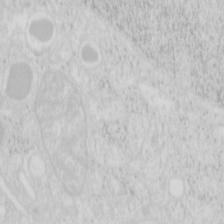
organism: Mouse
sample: Pancreas